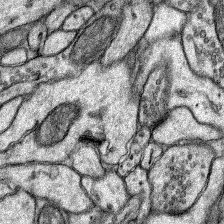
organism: Rat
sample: Hippocampus